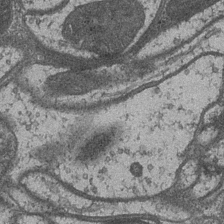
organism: Drosophila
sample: Optic medulla